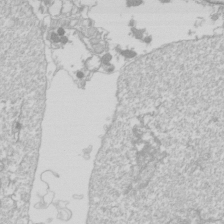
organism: Drosophila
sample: Cell division; meiosis; drosophila spermatocytes